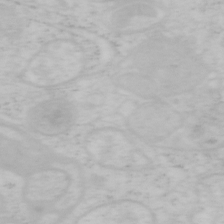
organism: Mouse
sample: OT-I killer T cells with ID8 ovarian cancer cells